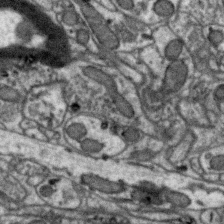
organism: Zebra finch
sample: Brain